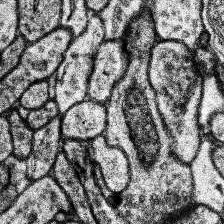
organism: Human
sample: Temporal Lobe